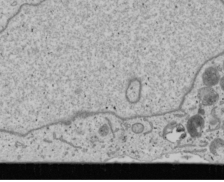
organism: Human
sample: Mitochondria in U2OS cells